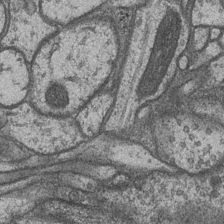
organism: Drosophila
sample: Optic medulla